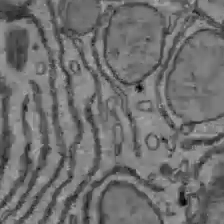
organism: C57BL Mouse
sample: Liver